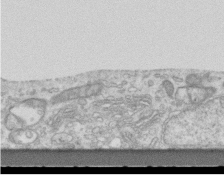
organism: Mouse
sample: Centriole in ependymal cells